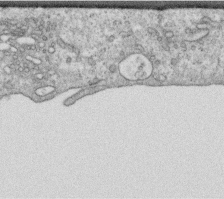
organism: Human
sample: Centriole in RPE cells